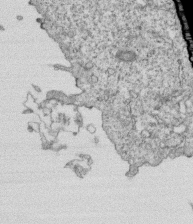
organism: Human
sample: HeLa cell HIV synapse